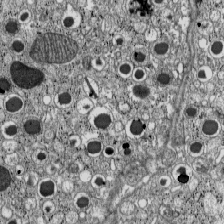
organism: C57BL Mouse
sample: Pancreatic islet